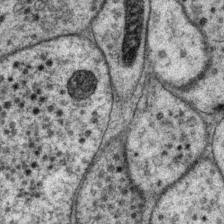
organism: P. pacificus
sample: Pharynx